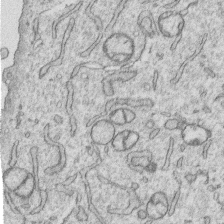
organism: Human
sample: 1205lu cells